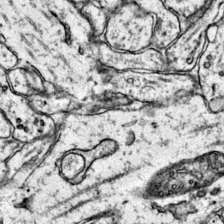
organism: Mouse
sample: Primary visual cortex